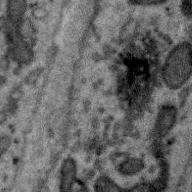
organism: Zebra finch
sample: Brain